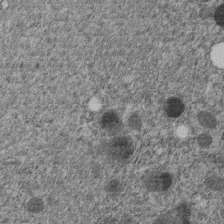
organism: C. elegans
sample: C. elegans embryo early stage